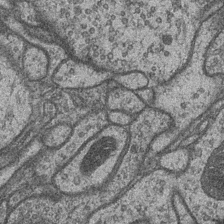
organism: Drosophila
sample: Optic medulla